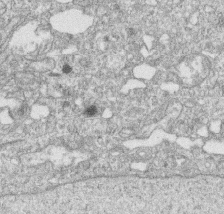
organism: Human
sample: HeLa cell HIV synapse